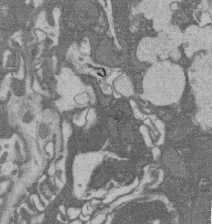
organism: Rat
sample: Salivary granule